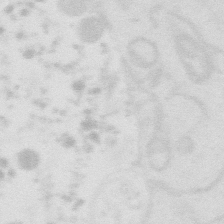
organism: Human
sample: HeLa cells